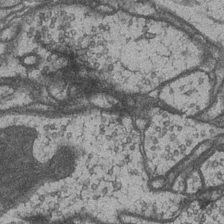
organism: Drosophila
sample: Optic medulla